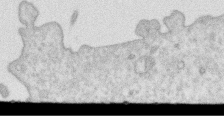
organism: Human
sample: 1205lu cells